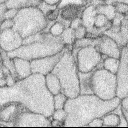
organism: Rabbit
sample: Retina